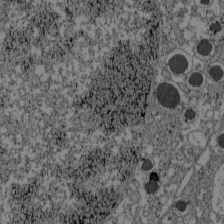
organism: C57BL Mouse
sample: Pancreatic islet